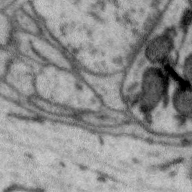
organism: Zebra finch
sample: Brain